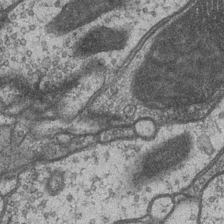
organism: Drosophila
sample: Optic medulla